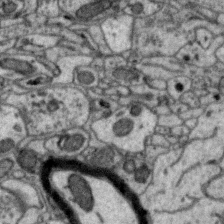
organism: Zebra finch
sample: Brain